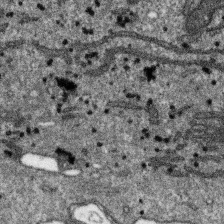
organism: Human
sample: Lung epithelial cells infected with SARS-CoV-2